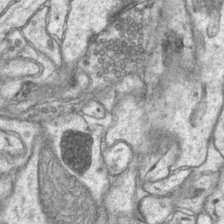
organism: Mouse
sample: CA1 Hippocampus